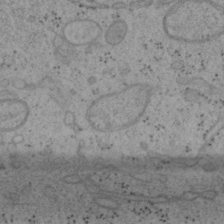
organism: Human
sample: HeLa cells